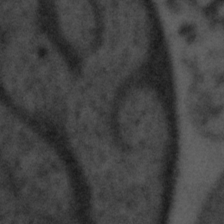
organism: Tuwongella immobilis